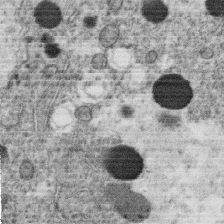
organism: C. elegans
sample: C. elegans oocyte; sperm cells